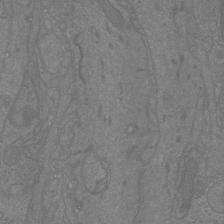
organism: Mouse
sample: Cortical neurons